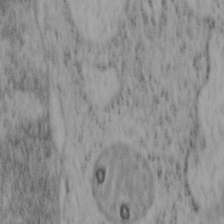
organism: Mouse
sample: OT-I killer T cells with ID8 ovarian cancer cells